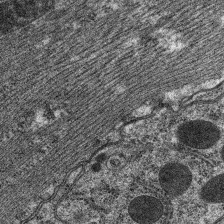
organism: C. elegans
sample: Pharynx